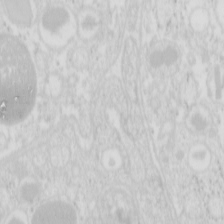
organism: Mouse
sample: Pancreas